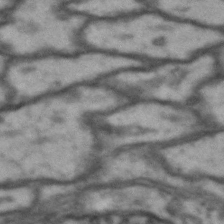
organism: Drosophila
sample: Brain